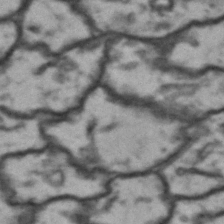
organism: Drosophila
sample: Brain